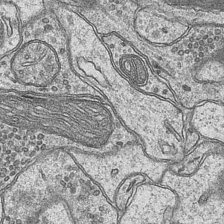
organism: Mouse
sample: CA1 Hippocampus